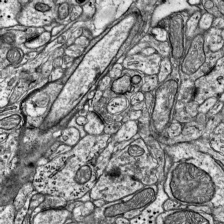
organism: Mouse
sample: Visual Cortex